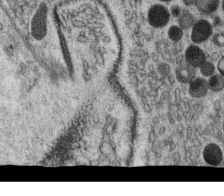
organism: C. elegans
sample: C. elegans oocyte; sperm cells